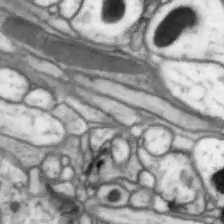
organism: Drosophila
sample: Optic lobe